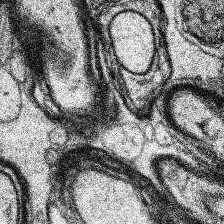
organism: Human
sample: Temporal Lobe